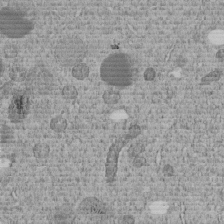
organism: C. elegans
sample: C. elegans embryo early stage